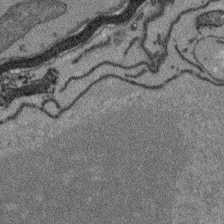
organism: Arabidopsis thaliana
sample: Root tip